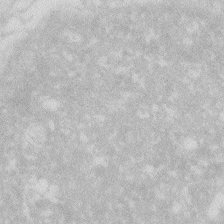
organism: Zebrafish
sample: Macrophage